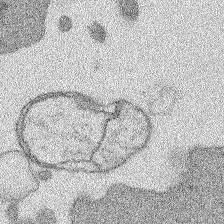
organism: Human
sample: HeLa cells